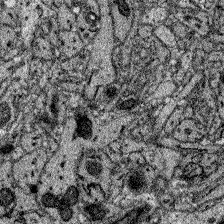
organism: Zebrafish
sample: Larval olfactory bulb